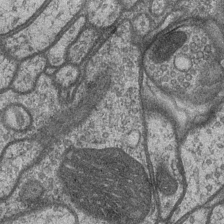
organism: Drosophila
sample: Optic medulla